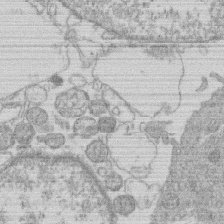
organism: Human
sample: Macrophage cells